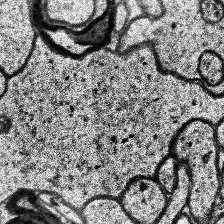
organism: Human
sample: Temporal Lobe